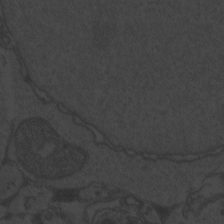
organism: Zebrafish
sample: Macrophage infected with Toxoplasma gondii